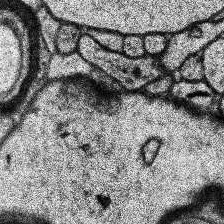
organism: Human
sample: Temporal Lobe